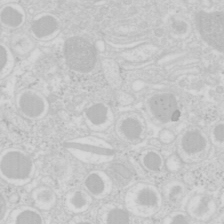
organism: Mouse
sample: Pancreas